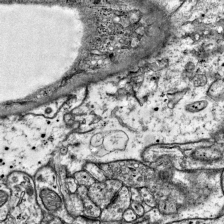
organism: Mouse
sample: Visual Cortex